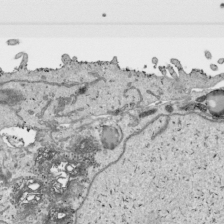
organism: Human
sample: Mitochondria in HCT116 cells